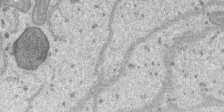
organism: Human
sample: Lung epithelial cells infected with SARS-CoV-2